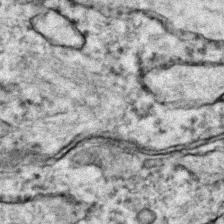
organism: Zebrafish